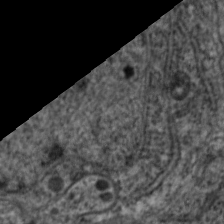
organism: C. elegans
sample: Pharynx